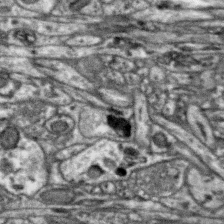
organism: Zebra finch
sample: Brain